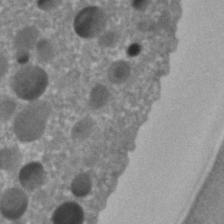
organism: C. elegans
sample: C. elegans embryo